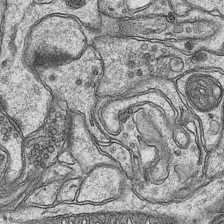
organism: Mouse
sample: CA1 Hippocampus